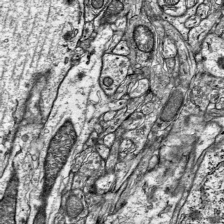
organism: Mouse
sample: Visual Cortex